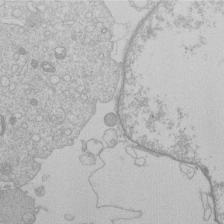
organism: Human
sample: Macrophage cells